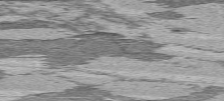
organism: C57BL Mouse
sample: Heart